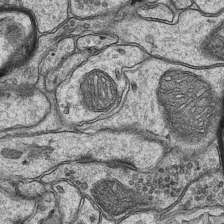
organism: Mouse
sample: CA1 Hippocampus